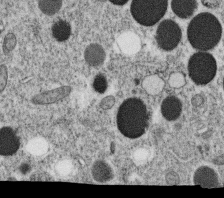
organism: C. elegans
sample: C. elegans oocyte; sperm cells